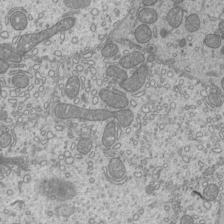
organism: Mouse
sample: Cilia; mouse epididymis